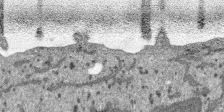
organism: Human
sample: Lung epithelial cells infected with SARS-CoV-2